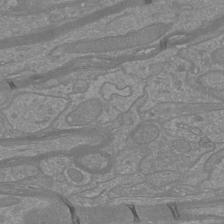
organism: Mouse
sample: Cortical neurons